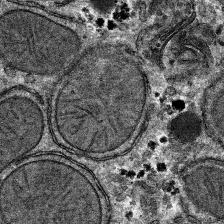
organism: Mouse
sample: Mouse hepatocytes